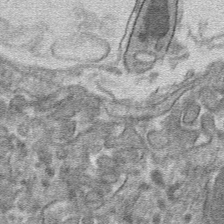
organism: Mouse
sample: Mouse hepatocytes